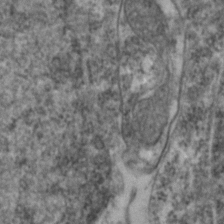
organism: Zebrafish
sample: Zebrafish embryo